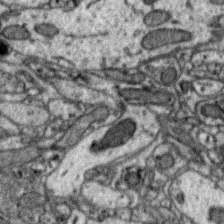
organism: Zebra finch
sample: Brain